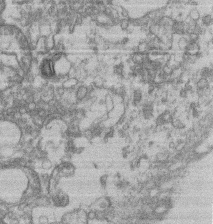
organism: Mouse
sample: T cell stromal cell synapse